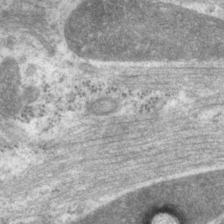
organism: P. pacificus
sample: Pharynx